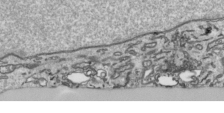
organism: Human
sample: Mitochondria in HCT116 cells